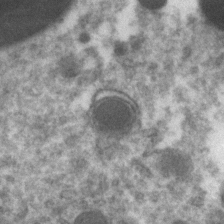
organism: Zebrafish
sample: Zebrafish embryo